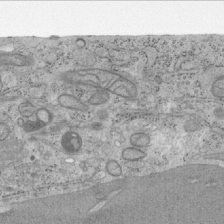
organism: Human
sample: HeLa cells